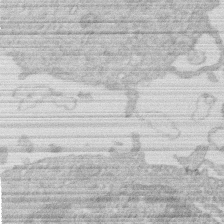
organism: Human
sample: Macrophage cells